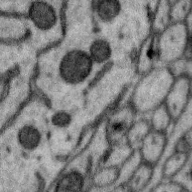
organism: Zebra finch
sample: Brain